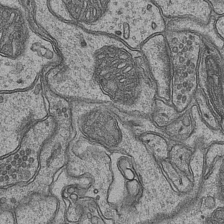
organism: Mouse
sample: CA1 Hippocampus